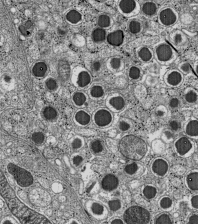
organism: C57BL Mouse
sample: Pancreatic islet